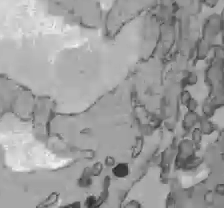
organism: C57BL Mouse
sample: Liver